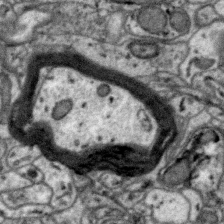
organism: Zebra finch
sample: Brain